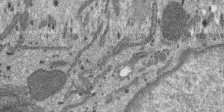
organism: Human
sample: Lung epithelial cells infected with SARS-CoV-2